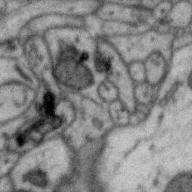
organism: Zebra finch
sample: Brain